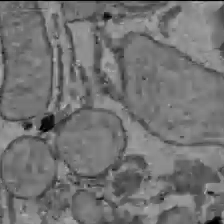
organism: C57BL Mouse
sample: Liver